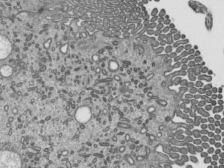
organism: Mouse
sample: Mouse epididymis efferent ductule cilia